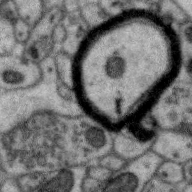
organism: Zebra finch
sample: Brain